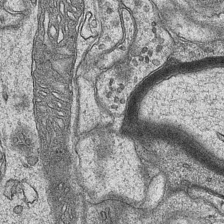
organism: Mouse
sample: CA1 Hippocampus